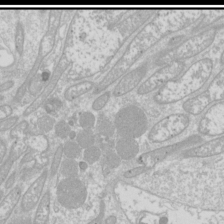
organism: Drosophila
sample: Cell division; meiosis; drosophila spermatocytes